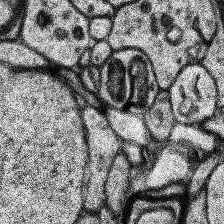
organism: Human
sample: Temporal Lobe